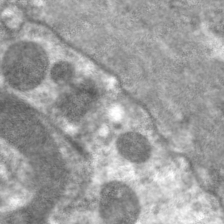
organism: C. elegans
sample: Pharynx